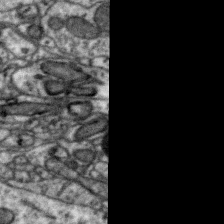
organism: Zebra finch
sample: Brain